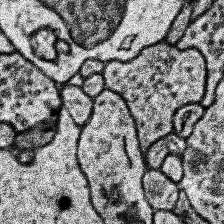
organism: Human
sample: Temporal Lobe